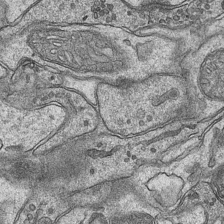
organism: Mouse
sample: CA1 Hippocampus